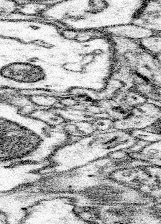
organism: Mouse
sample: Somatosensory cortex neuropil